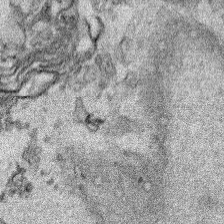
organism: Human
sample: Mitochondria in HCT116 cells